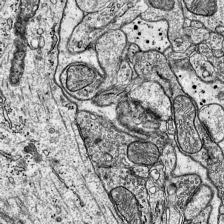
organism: Mouse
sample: Visual Cortex